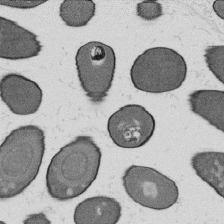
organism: B. subtilis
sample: Bacterial spore